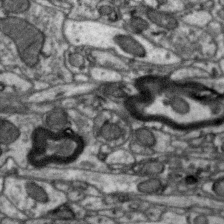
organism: Zebra finch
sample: Brain